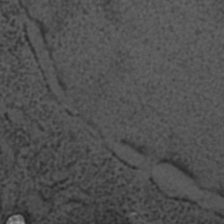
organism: C. elegans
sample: C. elegans embryo